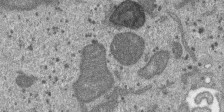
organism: Human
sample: Lung epithelial cells infected with SARS-CoV-2